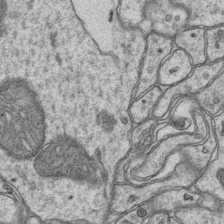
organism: Mouse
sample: CA1 Hippocampus